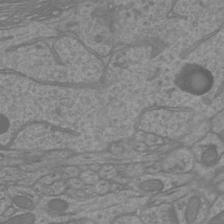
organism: Mouse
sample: Cortical neurons